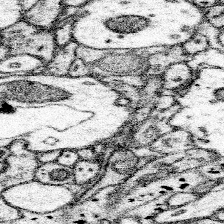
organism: Mouse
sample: Somatosensory cortex neuropil